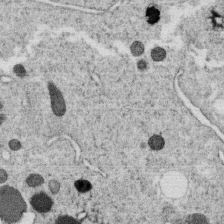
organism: C. elegans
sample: C. elegans oocyte; sperm cells